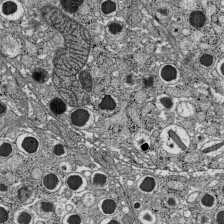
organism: C57BL Mouse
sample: Pancreatic islet